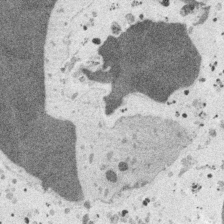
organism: Embia sp.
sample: Silk gland